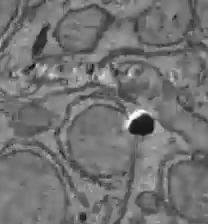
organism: C57BL Mouse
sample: Liver